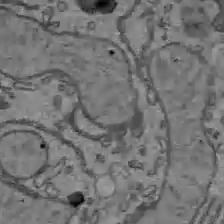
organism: C57BL Mouse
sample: Liver